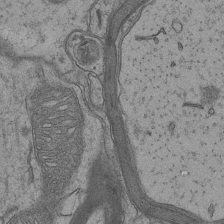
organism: Mouse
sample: CA1 Hippocampus